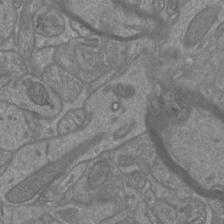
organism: Mouse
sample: Cortical neurons